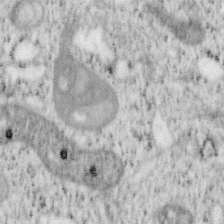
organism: Mouse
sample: OT-I killer T cells with ID8 ovarian cancer cells